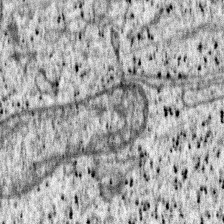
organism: Human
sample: HeLa cells